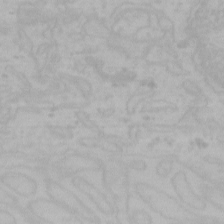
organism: Mouse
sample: Choroid plexus